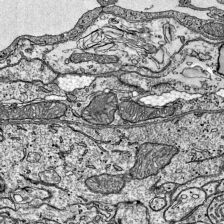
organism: Mouse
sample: Visual Cortex